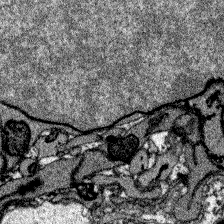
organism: Zebrafish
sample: Larval olfactory bulb